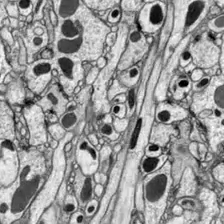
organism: Drosophila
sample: Optic lobe